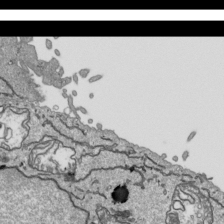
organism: Human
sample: Mitochondria in HCT116 cells